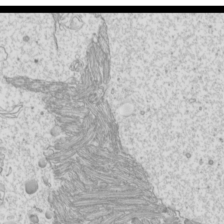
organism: Mouse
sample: Cilia; mouse epididymis